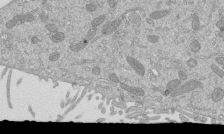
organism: Mouse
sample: ED-1 cell nuclei; centrioles